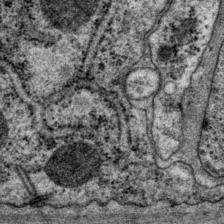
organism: P. pacificus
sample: Pharynx